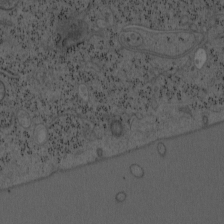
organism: Mouse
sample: OT-I killer T cells with ID8 ovarian cancer cells